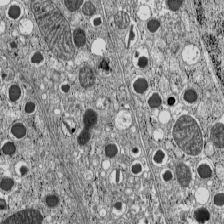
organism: C57BL Mouse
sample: Pancreatic islet